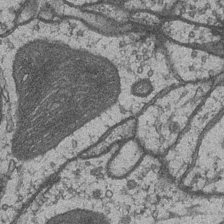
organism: Drosophila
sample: Optic medulla